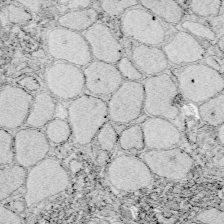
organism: Zebrafish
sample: Whole-Brain